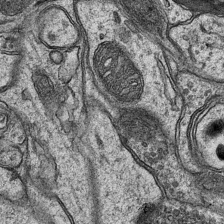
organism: Mouse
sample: CA1 Hippocampus